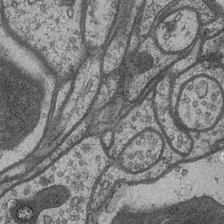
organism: Drosophila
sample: Optic medulla